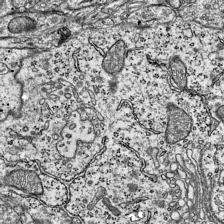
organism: Mouse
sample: Visual Cortex